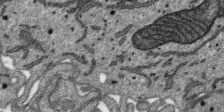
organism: Human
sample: Lung epithelial cells, uninfected (mock) control